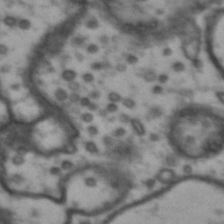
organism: Drosophila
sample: Brain